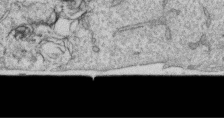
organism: Human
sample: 1205lu cells